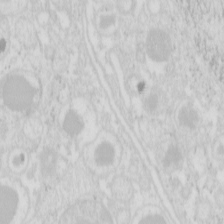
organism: Mouse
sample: Pancreas